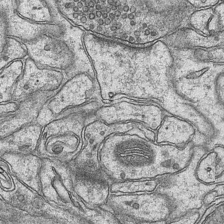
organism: Mouse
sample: CA1 Hippocampus